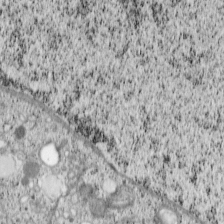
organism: African green monkey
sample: COS-7 cells